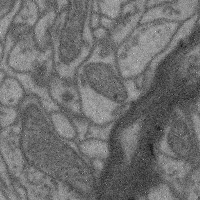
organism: Mouse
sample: Cerebral cortex